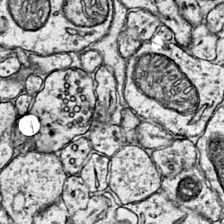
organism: Mouse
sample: Primary visual cortex